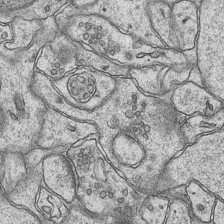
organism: Mouse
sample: CA1 Hippocampus